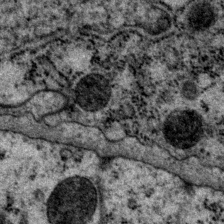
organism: P. pacificus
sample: Pharynx